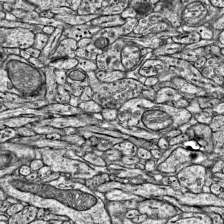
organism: Mouse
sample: Visual Cortex